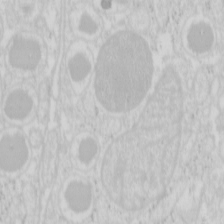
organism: Mouse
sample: Pancreas